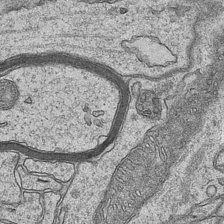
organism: Mouse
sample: CA1 Hippocampus